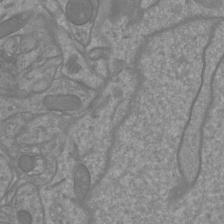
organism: Mouse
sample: Cortical neurons